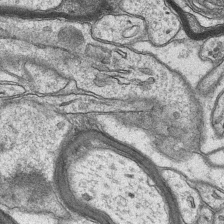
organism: Mouse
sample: CA1 Hippocampus